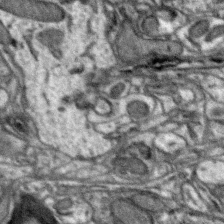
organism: Zebra finch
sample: Brain